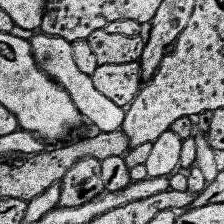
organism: Human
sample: Temporal Lobe